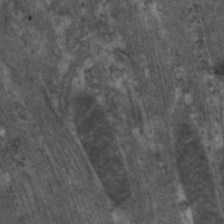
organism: C. elegans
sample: Pharynx